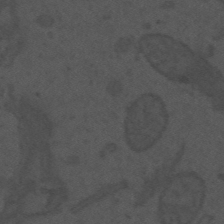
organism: Mouse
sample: Suprachiasmatic nucleus